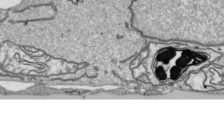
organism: Human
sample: Mitochondria in HCT116 cells